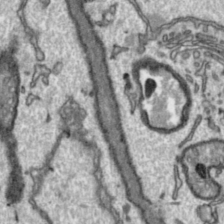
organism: Toxoplasma gondii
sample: Parasites in a vacuole inside a host cell